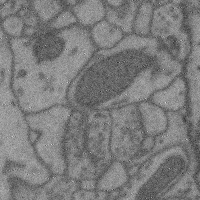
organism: Mouse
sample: Cerebral cortex